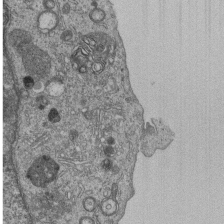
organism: Human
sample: MDA-MB-231 cells